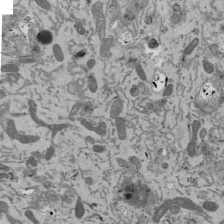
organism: Mouse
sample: ED-1 cell nuclei; centrioles